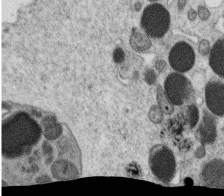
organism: C. elegans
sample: C. elegans oocyte; sperm cells